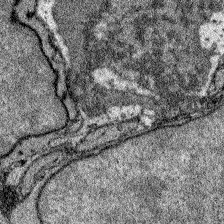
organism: Zebrafish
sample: Larval olfactory bulb